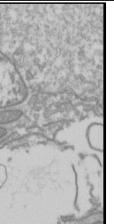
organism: Drosophila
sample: Cell division; meiosis; drosophila spermatocytes